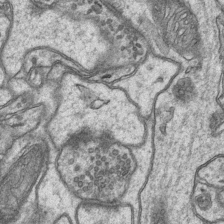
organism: Mouse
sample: CA1 Hippocampus